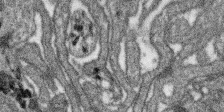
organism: Human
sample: Lung epithelial cells infected with SARS-CoV-2